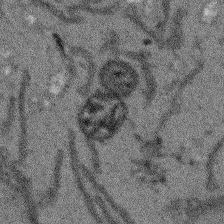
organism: Arabidopsis thaliana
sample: Root tip